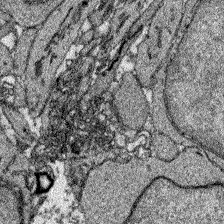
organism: Zebrafish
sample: Larval olfactory bulb